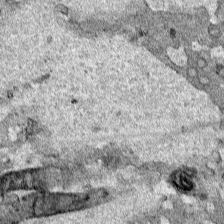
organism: Human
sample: Mitochondria in HCT116 cells